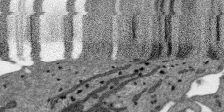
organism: Human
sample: Lung epithelial cells, uninfected (mock) control